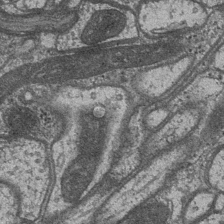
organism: Drosophila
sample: Optic medulla